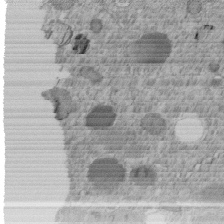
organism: C. elegans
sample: C. elegans embryo early stage